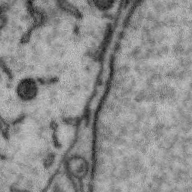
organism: Zebra finch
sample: Brain